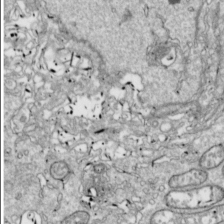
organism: Drosophila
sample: Cell division; meiosis; drosophila spermatocytes